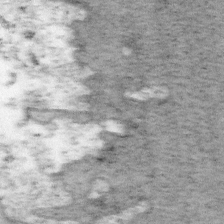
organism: Mouse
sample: OT-I killer T cells with ID8 ovarian cancer cells